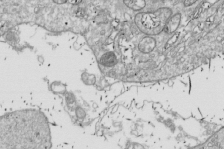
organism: Drosophila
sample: Cell division; meiosis; drosophila spermatocytes